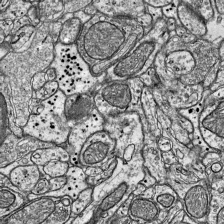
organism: Mouse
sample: Visual Cortex